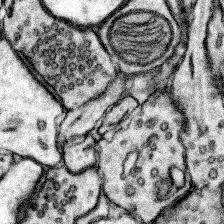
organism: Mouse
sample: Somatosensory cortex neuropil